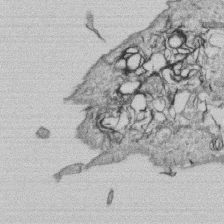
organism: Human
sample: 1205lu cells